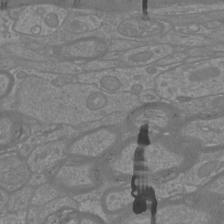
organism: Mouse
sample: Cortical neurons